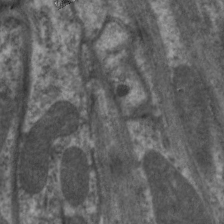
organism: C. elegans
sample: Pharynx